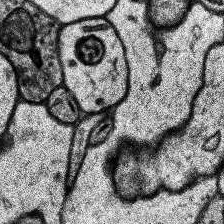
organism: Human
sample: Temporal Lobe